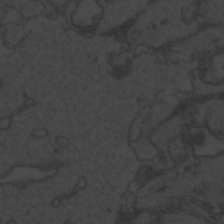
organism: Zebrafish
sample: Macrophage infected with Toxoplasma gondii